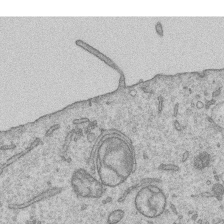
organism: Human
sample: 1205lu cells